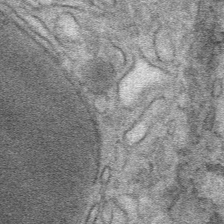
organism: Mouse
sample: Mouse Salivary gland